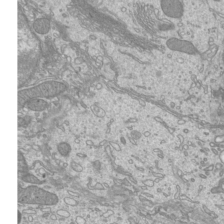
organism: Mouse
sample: Cilia; mouse epididymis